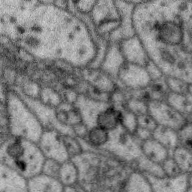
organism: Zebra finch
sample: Brain